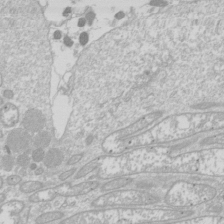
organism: Drosophila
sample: Cell division; meiosis; drosophila spermatocytes